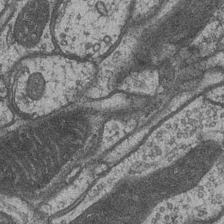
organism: Drosophila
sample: Optic medulla